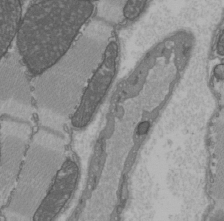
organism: C57BL Mouse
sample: Heart